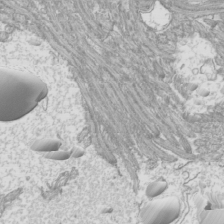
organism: Mouse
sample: Cilia; mouse epididymis